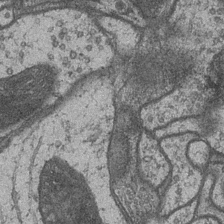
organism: Drosophila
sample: Optic medulla